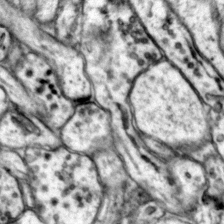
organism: Mouse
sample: Primary visual cortex